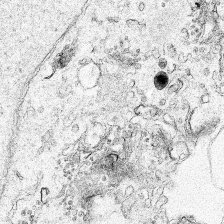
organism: Human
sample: Mitochondria in HCT116 cells